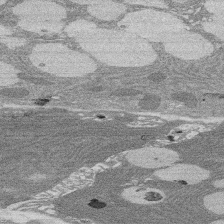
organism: Rat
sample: Salivary granule